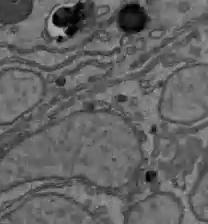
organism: C57BL Mouse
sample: Liver